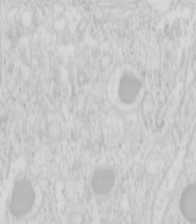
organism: Mouse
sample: Pancreas